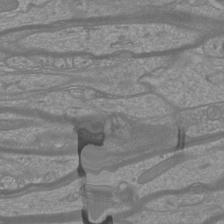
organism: Mouse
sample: Cortical neurons